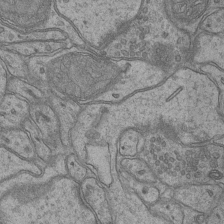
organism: Mouse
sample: CA1 Hippocampus